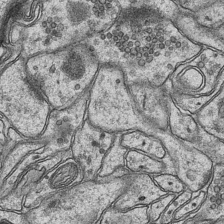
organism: Mouse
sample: CA1 Hippocampus